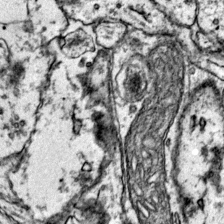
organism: Mouse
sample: Primary visual cortex